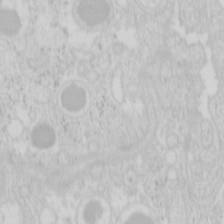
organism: Mouse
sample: Pancreas